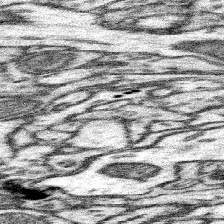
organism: Mouse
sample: Somatosensory cortex neuropil